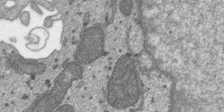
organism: Human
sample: Lung epithelial cells infected with SARS-CoV-2